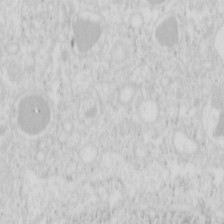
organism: Mouse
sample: Pancreas